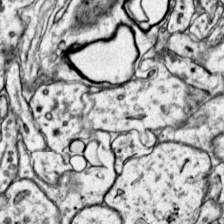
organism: Mouse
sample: Primary visual cortex